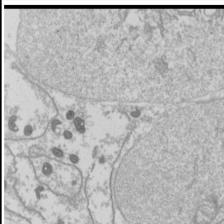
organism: Drosophila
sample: Cell division; meiosis; drosophila spermatocytes